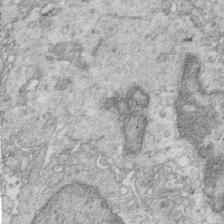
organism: Mouse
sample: Multiciliated cells